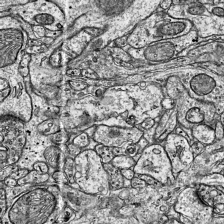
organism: Mouse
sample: Visual Cortex